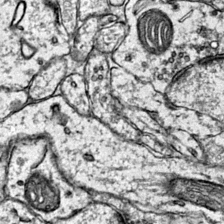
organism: Mouse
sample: Primary visual cortex